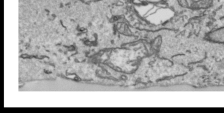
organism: Human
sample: Mitochondria in HCT116 cells